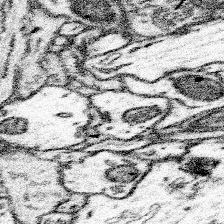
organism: Mouse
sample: Somatosensory cortex neuropil